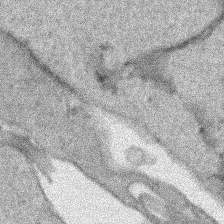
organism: Human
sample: Mitochondria in HCT116 cells